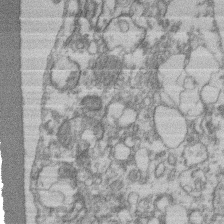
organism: Mouse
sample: T cell stromal cell synapse